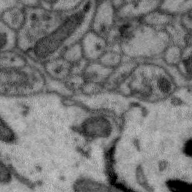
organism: Zebra finch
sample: Brain